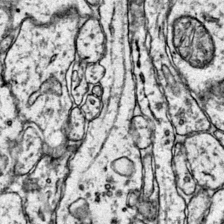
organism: Mouse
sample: Primary visual cortex